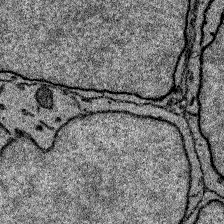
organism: Zebrafish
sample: Larval olfactory bulb